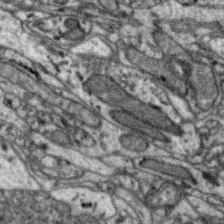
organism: Zebra finch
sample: Brain